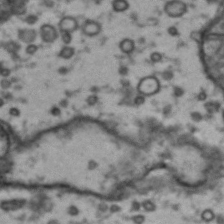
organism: Drosophila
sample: Brain